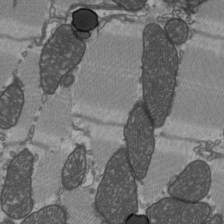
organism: C57BL Mouse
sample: Heart